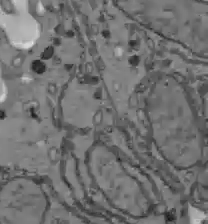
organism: C57BL Mouse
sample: Liver